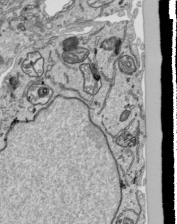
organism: Human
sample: Mitochondria in HCT116 cells